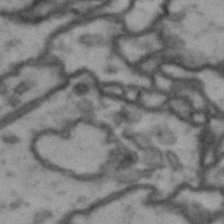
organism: Drosophila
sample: Brain